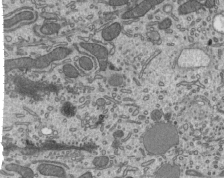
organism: Mouse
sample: Mouse epididymis efferent ductule cilia